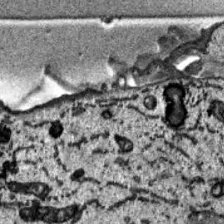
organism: Human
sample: HeLa cells